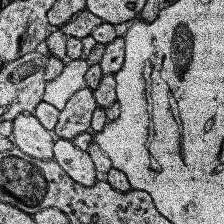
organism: Human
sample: Temporal Lobe